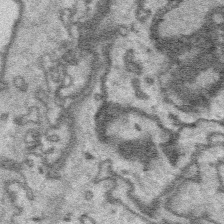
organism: Platynereis dumerilii